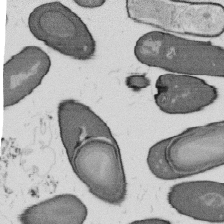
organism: B. subtilis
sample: Bacterial spore